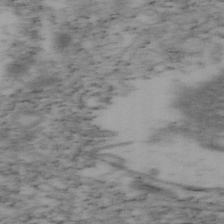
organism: Mouse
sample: OT-I killer T cells with ID8 ovarian cancer cells